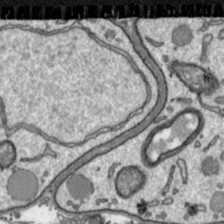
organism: Toxoplasma gondii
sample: Parasites in a vacuole inside a host cell